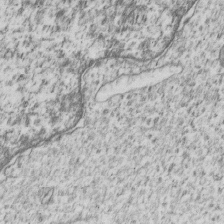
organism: Human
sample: MDA-MB-231 cells